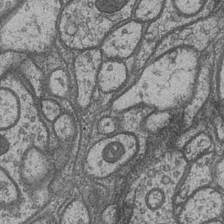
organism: Drosophila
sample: Optic medulla